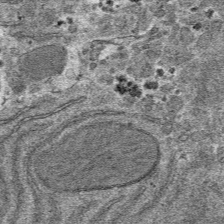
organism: Mouse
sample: Mouse hepatocytes